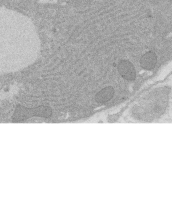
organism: Rat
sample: Salivary granule